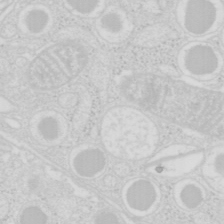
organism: Mouse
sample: Pancreas